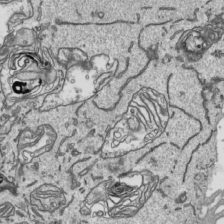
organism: Human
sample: Mitochondria in HCT116 cells